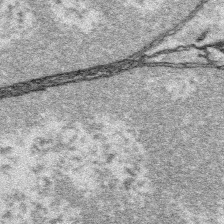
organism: Platynereis dumerilii